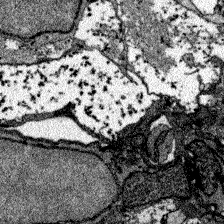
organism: Zebrafish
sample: Larval olfactory bulb